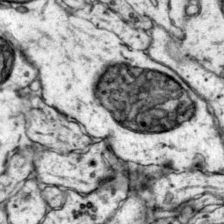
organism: Mouse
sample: Primary visual cortex